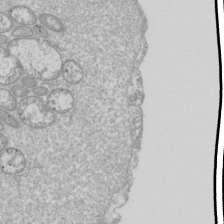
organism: Drosophila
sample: Cell division; meiosis; drosophila spermatocytes